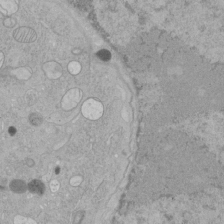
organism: Human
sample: Mitochondria in HCT116 cells